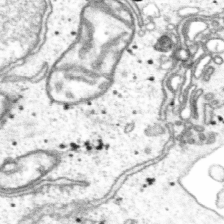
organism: Human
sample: HeLa cells